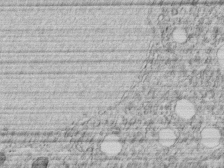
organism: C. elegans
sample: C. elegans embryo early stage